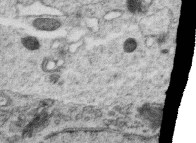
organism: C. elegans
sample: C. elegans oocyte; sperm cells